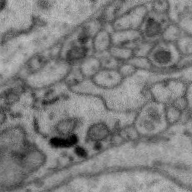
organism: Zebra finch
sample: Brain